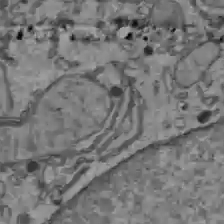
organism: C57BL Mouse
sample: Liver